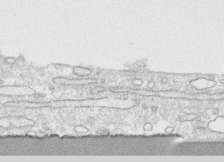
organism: Human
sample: CRL-1474